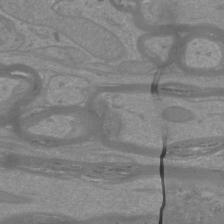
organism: Mouse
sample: Cortical neurons